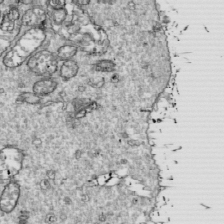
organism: Drosophila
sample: Cell division; meiosis; drosophila spermatocytes